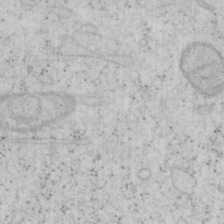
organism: Human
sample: HeLa cells